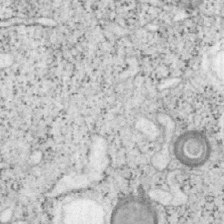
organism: Mouse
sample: OT-I killer T cells with ID8 ovarian cancer cells